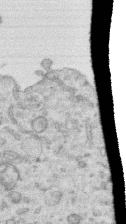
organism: Human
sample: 1205lu cells